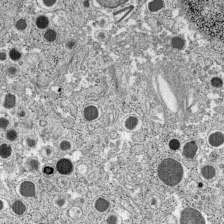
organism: C57BL Mouse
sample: Pancreatic islet